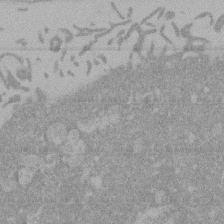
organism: Mouse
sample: ED-1 cell nuclei; centrioles